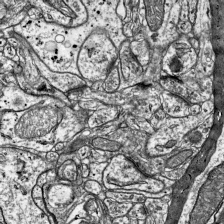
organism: Mouse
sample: Visual Cortex